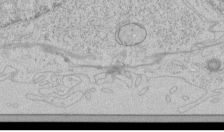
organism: Human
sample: Mitochondria in HCT116 cells